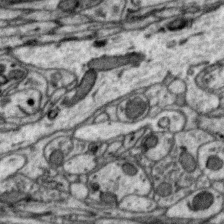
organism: Zebra finch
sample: Brain